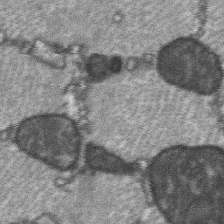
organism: C57BL Mouse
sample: Soleus